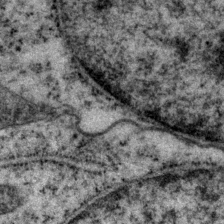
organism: P. pacificus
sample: Pharynx